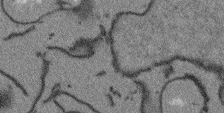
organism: Arabidopsis thaliana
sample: Root tip